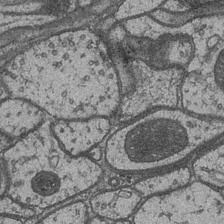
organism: Drosophila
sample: Optic medulla